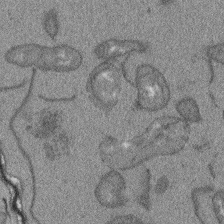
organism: Arabidopsis thaliana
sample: Root tip